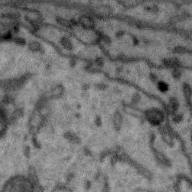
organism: Zebra finch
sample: Brain